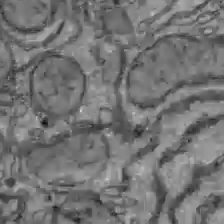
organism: C57BL Mouse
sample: Liver